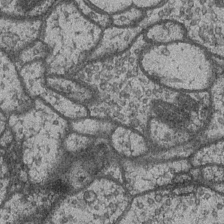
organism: Drosophila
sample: Optic medulla